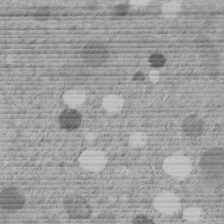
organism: C. elegans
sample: C. elegans embryo early stage